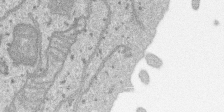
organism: Human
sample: Lung epithelial cells infected with SARS-CoV-2